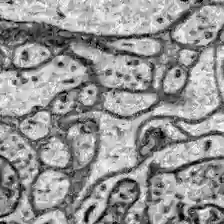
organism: Zebrafish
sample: Brain